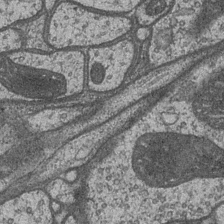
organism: Drosophila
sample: Optic medulla